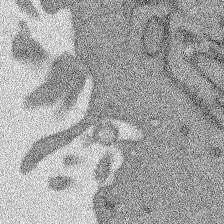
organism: Human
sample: HeLa cells